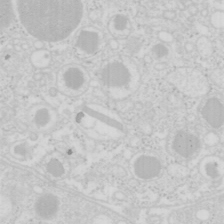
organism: Mouse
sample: Pancreas